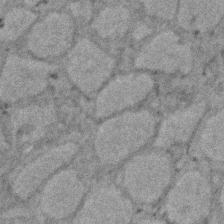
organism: Zebrafish